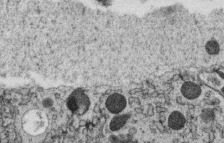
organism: C. elegans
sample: C. elegans oocyte; sperm cells